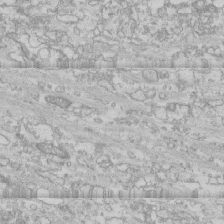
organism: Human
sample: CRL-1474